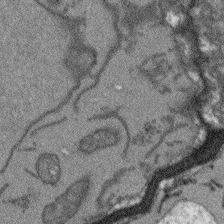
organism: Arabidopsis thaliana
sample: Root tip